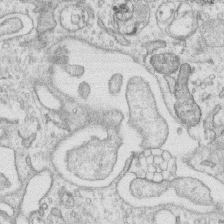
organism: Human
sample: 1205lu cells